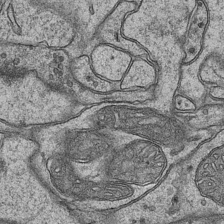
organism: Mouse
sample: CA1 Hippocampus